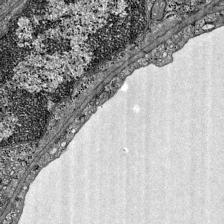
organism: Mouse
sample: Visual Cortex